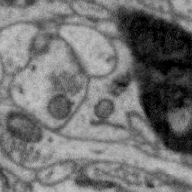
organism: Zebra finch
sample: Brain